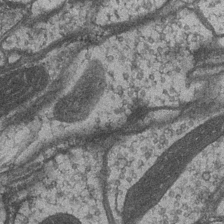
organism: Drosophila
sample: Optic medulla